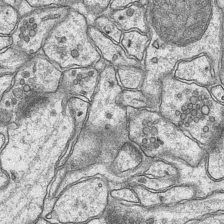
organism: Mouse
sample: CA1 Hippocampus